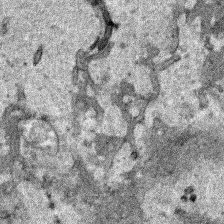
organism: Human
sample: Mitochondria in HCT116 cells